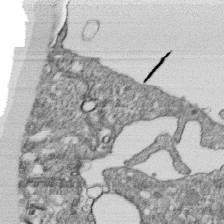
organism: African green monkey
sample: Vero E6 cells infected with SARS-CoV-2